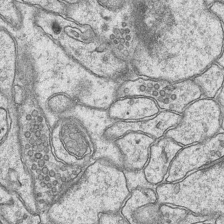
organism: Mouse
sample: CA1 Hippocampus